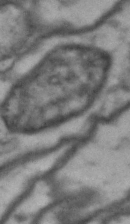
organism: Drosophila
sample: Brain